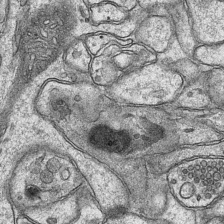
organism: Mouse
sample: CA1 Hippocampus